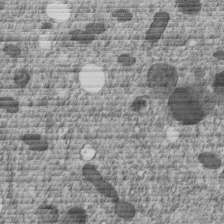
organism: C. elegans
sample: C. elegans embryo early stage